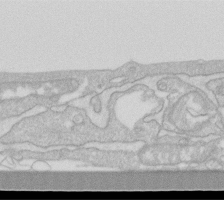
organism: Human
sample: Fibroblast cells